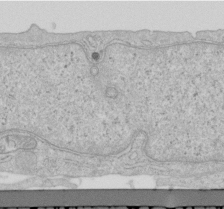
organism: Human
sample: Centriole in RPE cells